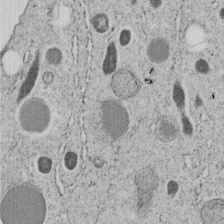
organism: C. elegans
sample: C. elegans embryo early stage